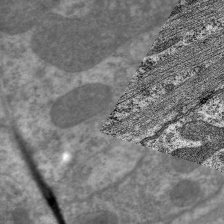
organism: C. elegans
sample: Pharynx